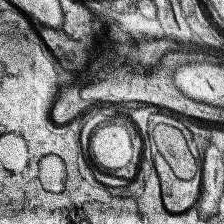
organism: Human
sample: Temporal Lobe